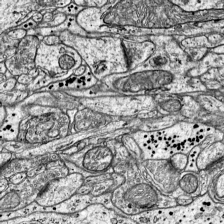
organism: Mouse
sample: Visual Cortex